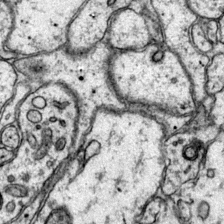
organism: Mouse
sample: Primary visual cortex